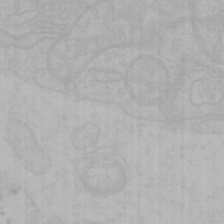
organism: Mouse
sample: Choroid plexus